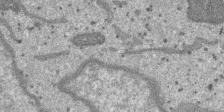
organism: Human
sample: Lung epithelial cells infected with SARS-CoV-2